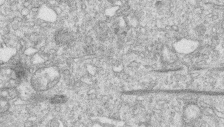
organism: Human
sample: HeLa cell HIV synapse